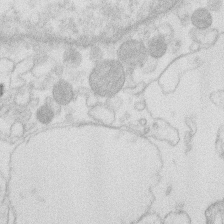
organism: Human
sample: Macrophage cells